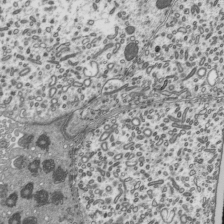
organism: Mouse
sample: Mouse epididymis efferent ductule cilia